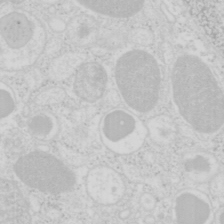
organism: Mouse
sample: Pancreas